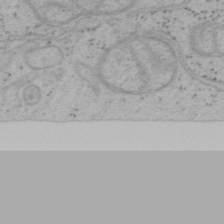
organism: Human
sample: HeLa cells